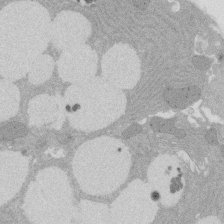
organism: Rat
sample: Salivary granule